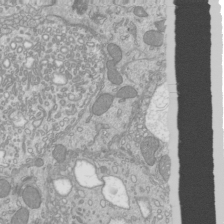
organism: Mouse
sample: Cilia; mouse epididymis